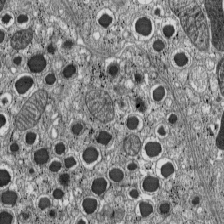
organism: C57BL Mouse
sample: Pancreatic islet